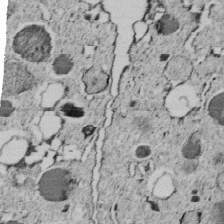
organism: C. elegans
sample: C. elegans embryo early stage